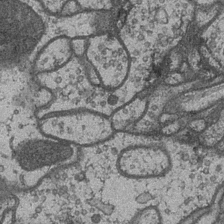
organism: Drosophila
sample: Optic medulla